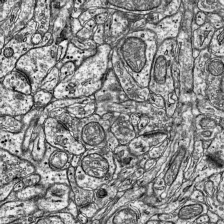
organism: Mouse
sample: Visual Cortex